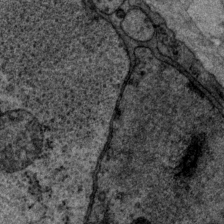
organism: P. pacificus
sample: Pharynx